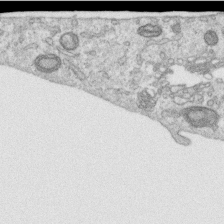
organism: Human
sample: Centriole in RPE cells